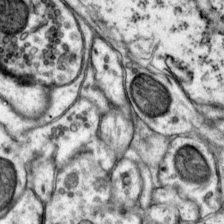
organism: Mouse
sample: Primary visual cortex